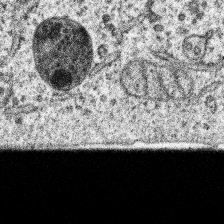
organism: Human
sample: HeLa cells